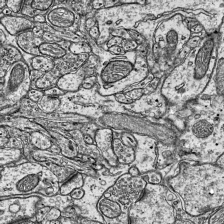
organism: Mouse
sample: Visual Cortex